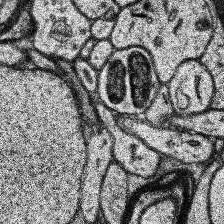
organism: Human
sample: Temporal Lobe